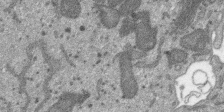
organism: Human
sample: Lung epithelial cells infected with SARS-CoV-2